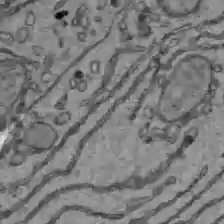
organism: C57BL Mouse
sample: Liver